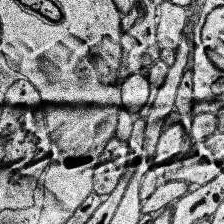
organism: Human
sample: Temporal Lobe